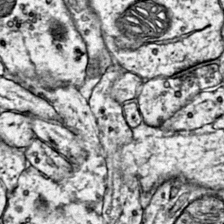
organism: Mouse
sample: Primary visual cortex